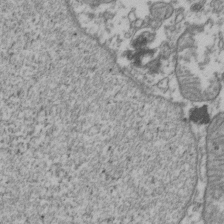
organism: Human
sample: Activated Jurkat CD4+ T cells